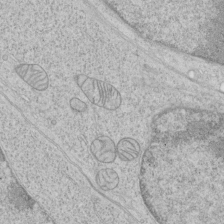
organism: Human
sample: Mitochondria in HCT116 cells